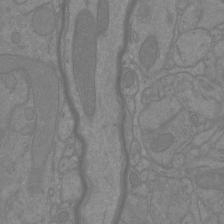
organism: Mouse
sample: Cortical neurons